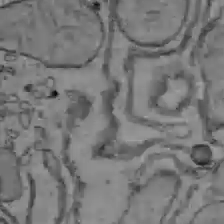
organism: C57BL Mouse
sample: Liver